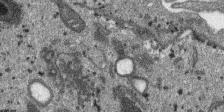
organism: Human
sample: Lung epithelial cells infected with SARS-CoV-2